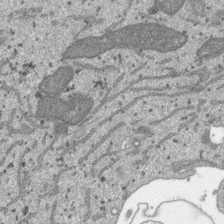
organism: Human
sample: Lung epithelial cells infected with SARS-CoV-2